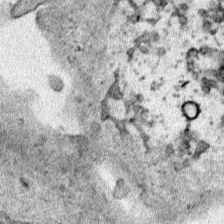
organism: Human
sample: Mitochondria in HCT116 cells